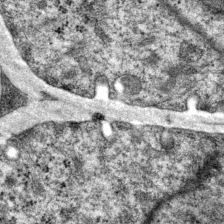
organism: P. pacificus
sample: Pharynx